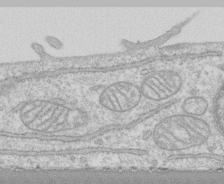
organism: Human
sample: CRL-1474